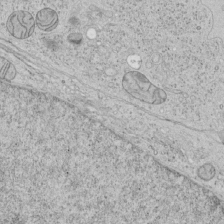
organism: Human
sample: Mitochondria in HCT116 cells